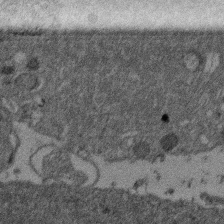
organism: Mouse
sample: Dividing mouse embryo 1 cell stage